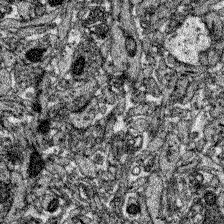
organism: Zebrafish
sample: Larval olfactory bulb